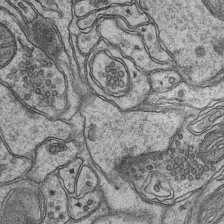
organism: Mouse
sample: CA1 Hippocampus